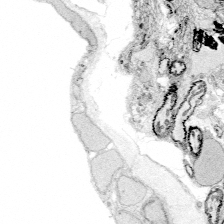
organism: Zebrafish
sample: Whole-Brain